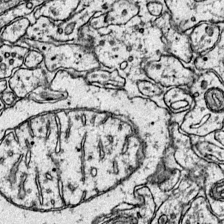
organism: Mouse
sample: Primary visual cortex